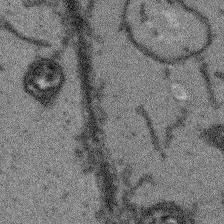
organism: Arabidopsis thaliana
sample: Root tip